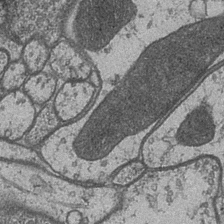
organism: Drosophila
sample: Optic medulla